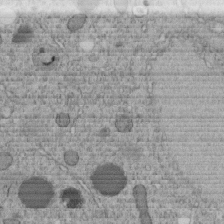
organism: C. elegans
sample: C. elegans embryo early stage